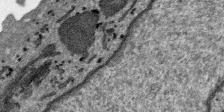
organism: Human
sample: Lung epithelial cells, uninfected (mock) control